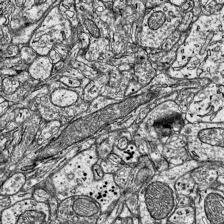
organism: Mouse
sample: Visual Cortex